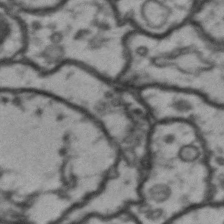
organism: Drosophila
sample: Brain